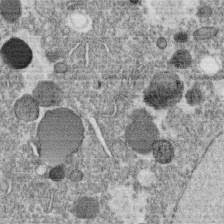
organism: C. elegans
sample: C. elegans oocyte; sperm cells